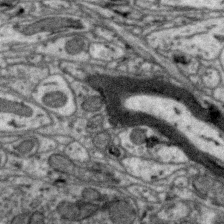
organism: Zebra finch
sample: Brain